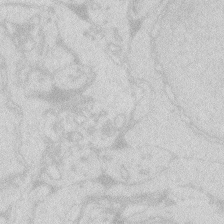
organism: Zebrafish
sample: Macrophage